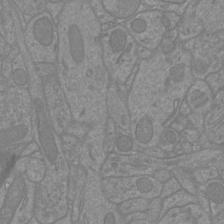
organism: Mouse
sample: Cortical neurons